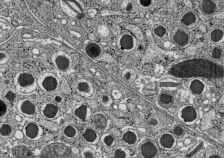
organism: C57BL Mouse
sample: Pancreatic islet